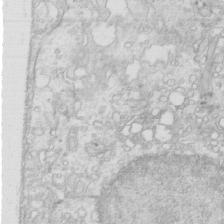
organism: Mouse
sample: Multiciliated cells